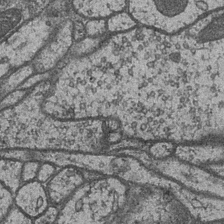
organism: Drosophila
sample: Optic medulla